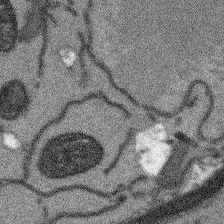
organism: Arabidopsis thaliana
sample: Root tip